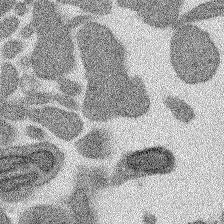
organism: Human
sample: HeLa cells